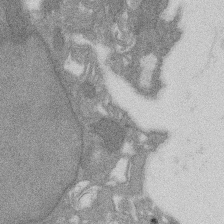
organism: Rat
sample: Salivary granule